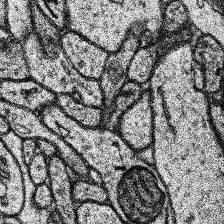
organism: Human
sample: Temporal Lobe